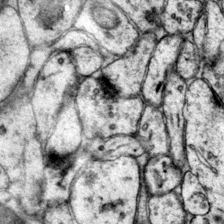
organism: Mouse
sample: Primary visual cortex